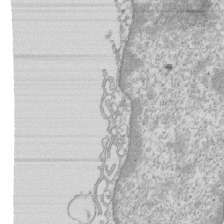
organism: Mouse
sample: Macrophages